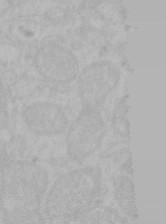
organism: Mouse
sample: Choroid plexus